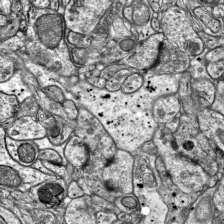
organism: Mouse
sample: Visual Cortex